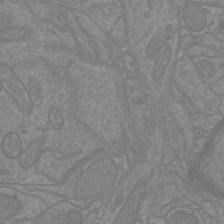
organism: Mouse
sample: Cortical neurons